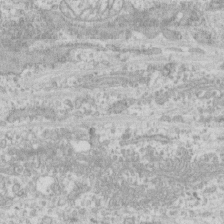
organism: Human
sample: CRL-1474